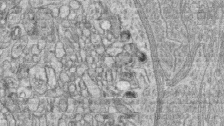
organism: Zebrafish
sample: synaptic ribbons in rod cells and cone cells